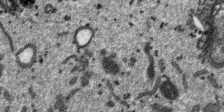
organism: Human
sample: Lung epithelial cells infected with SARS-CoV-2